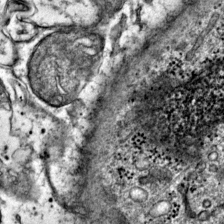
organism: Mouse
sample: Primary visual cortex